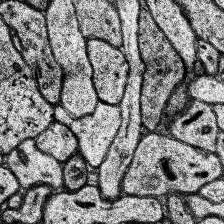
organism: Human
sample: Temporal Lobe